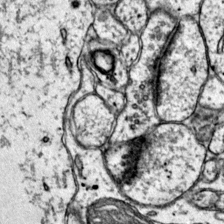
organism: Mouse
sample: Primary visual cortex